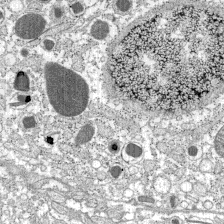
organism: C57BL Mouse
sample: Pancreatic islet